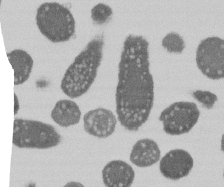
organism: E. coli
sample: Bacterial nucleoid